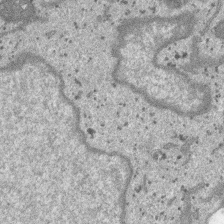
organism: Human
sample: Lung epithelial cells infected with SARS-CoV-2